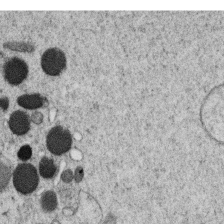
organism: C. elegans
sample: C. elegans oocyte; sperm cells